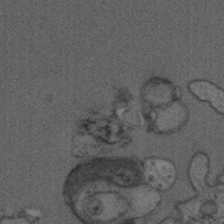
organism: Human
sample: HeLa cells